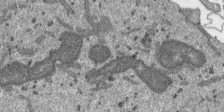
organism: Human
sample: Lung epithelial cells infected with SARS-CoV-2